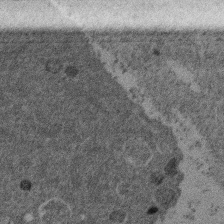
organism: Mouse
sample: Dividing mouse embryo 1 cell stage